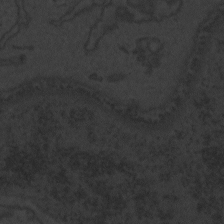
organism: Zebrafish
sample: Macrophage infected with Toxoplasma gondii